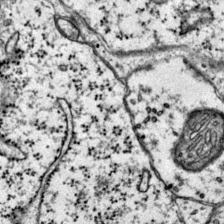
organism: Mouse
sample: Primary visual cortex